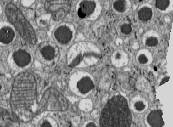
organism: C57BL Mouse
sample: Pancreatic islet